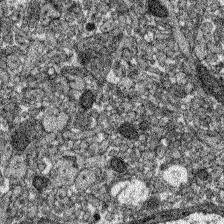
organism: Zebrafish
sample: Larval olfactory bulb